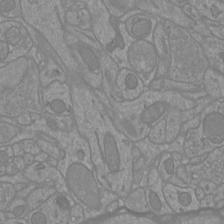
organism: Mouse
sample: Cortical neurons